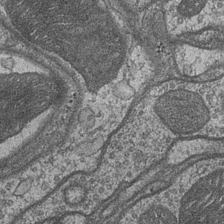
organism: Drosophila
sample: Optic medulla